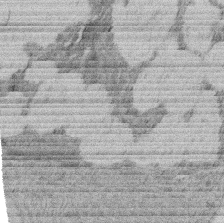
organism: Rat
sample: Salivary granule